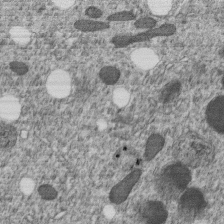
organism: C. elegans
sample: C. elegans embryo early stage